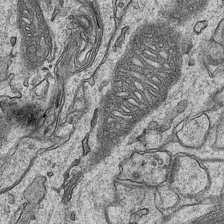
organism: Mouse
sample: CA1 Hippocampus